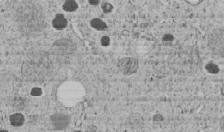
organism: C. elegans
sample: C. elegans embryo early stage